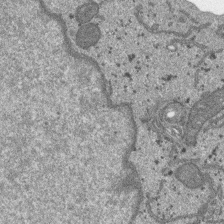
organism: Human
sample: Lung epithelial cells infected with SARS-CoV-2